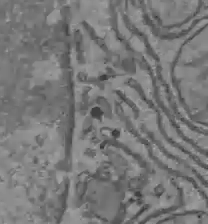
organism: C57BL Mouse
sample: Liver